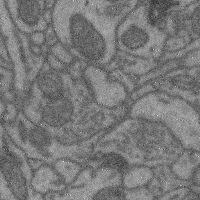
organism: Mouse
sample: Cerebral cortex